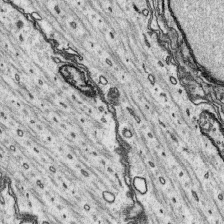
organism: Platynereis dumerilii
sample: Parapodia